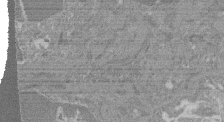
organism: Mouse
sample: Glomerulus